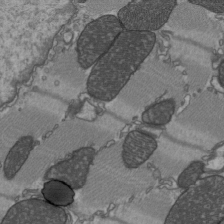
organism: C57BL Mouse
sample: Heart